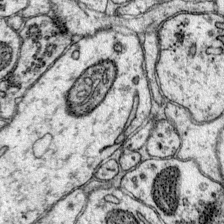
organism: Mouse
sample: Primary visual cortex